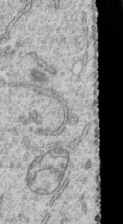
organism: Human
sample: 1205lu cells